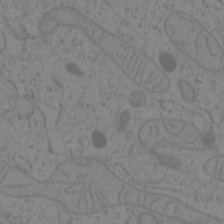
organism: Human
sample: HeLa cells